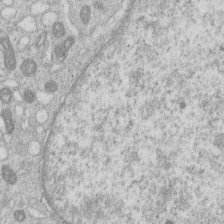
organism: Human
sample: Macrophage cells